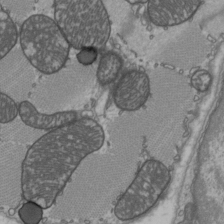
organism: C57BL Mouse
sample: Heart